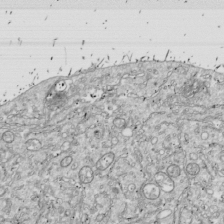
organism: Drosophila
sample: Cell division; meiosis; drosophila spermatocytes